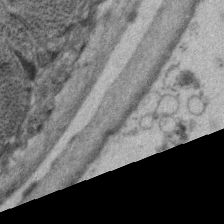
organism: C. elegans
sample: Pharynx